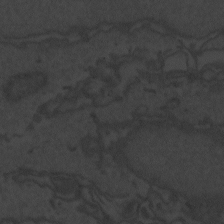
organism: Zebrafish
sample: Macrophage infected with Toxoplasma gondii